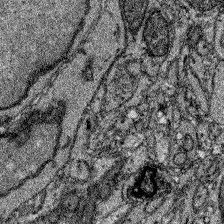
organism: Zebrafish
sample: Larval olfactory bulb